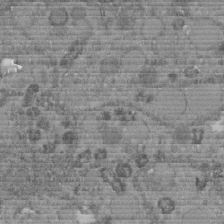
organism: C. elegans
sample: C. elegans embryo early stage